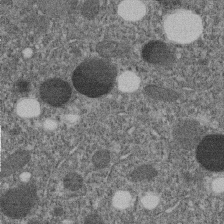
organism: C. elegans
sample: C. elegans embryo early stage